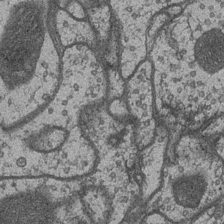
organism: Drosophila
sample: Optic medulla